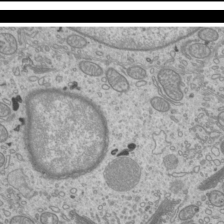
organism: Mouse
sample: Cilia; mouse epididymis